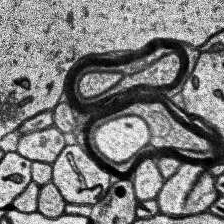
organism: Human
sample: Temporal Lobe